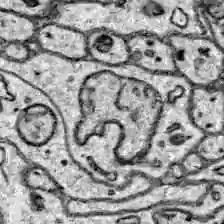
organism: Zebrafish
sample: Brain